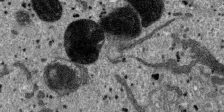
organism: Human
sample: Lung epithelial cells, uninfected (mock) control